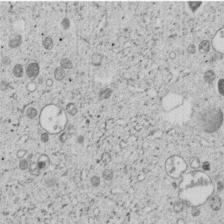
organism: C. elegans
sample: C. elegans embryo early stage